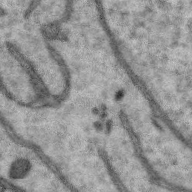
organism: Zebra finch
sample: Brain